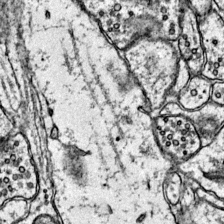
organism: Mouse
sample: Primary visual cortex